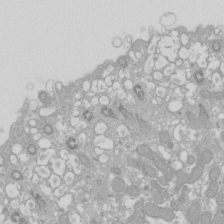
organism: Xenopus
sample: Cilia; centrioles in frog embryo cells